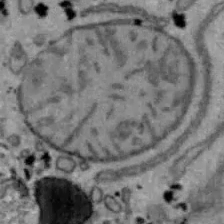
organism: Mouse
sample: Liver